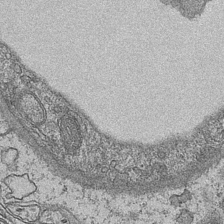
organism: Mouse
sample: CA1 Hippocampus